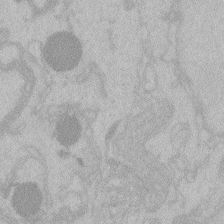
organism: Zebrafish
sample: Macrophage infected with Toxoplasma gondii